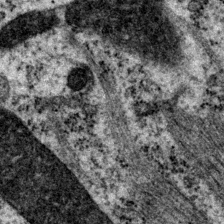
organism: P. pacificus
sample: Pharynx